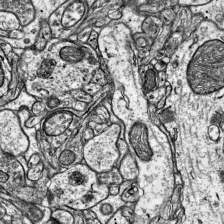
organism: Mouse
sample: Visual Cortex